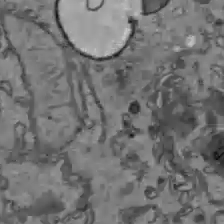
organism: C57BL Mouse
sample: Liver